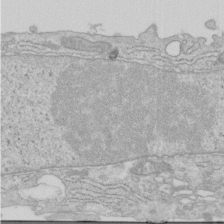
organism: Human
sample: Centriole in RPE cells